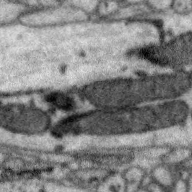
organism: Zebra finch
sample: Brain